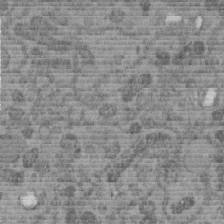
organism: C. elegans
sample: C. elegans embryo early stage